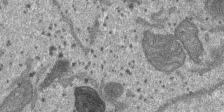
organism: Human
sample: Lung epithelial cells infected with SARS-CoV-2